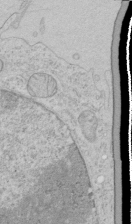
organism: Human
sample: Mitochondria in HCT116 cells